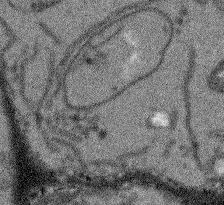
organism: Arabidopsis thaliana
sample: Root tip